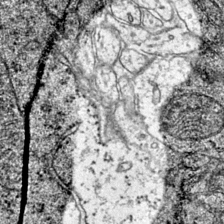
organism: Mouse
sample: Primary visual cortex